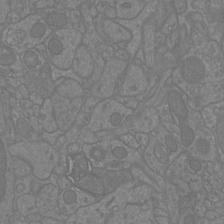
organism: Mouse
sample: Cortical neurons